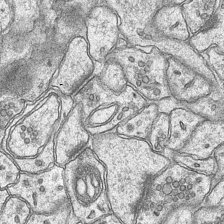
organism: Mouse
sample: CA1 Hippocampus